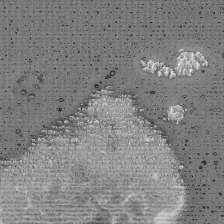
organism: Mouse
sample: Activated Pmel transgenic CD8+ T Cells